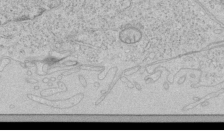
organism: Human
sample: Mitochondria in HCT116 cells